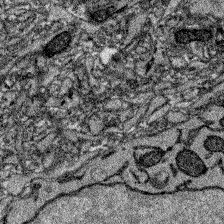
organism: Zebrafish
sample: Larval olfactory bulb